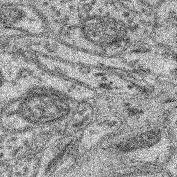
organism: Mouse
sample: Retina